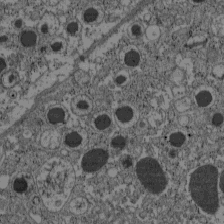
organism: C57BL Mouse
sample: Pancreatic islet